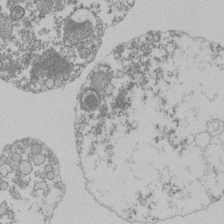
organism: Mouse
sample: Activated Pmel transgenic CD8+ T Cells